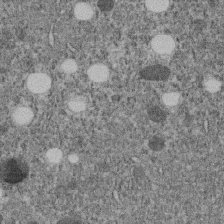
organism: C. elegans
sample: C. elegans embryo early stage